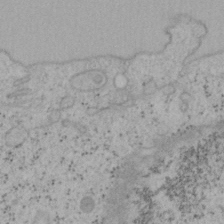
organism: Human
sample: HeLa cells